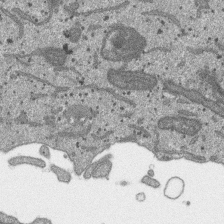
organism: Human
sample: Lung epithelial cells infected with SARS-CoV-2